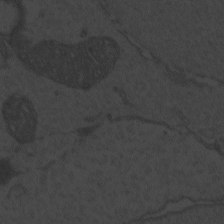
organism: Zebrafish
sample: Macrophage infected with Toxoplasma gondii